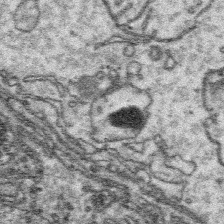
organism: Platynereis dumerilii